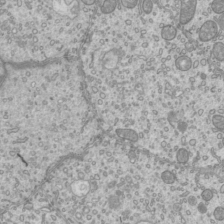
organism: Mouse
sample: Cilia; mouse epididymis